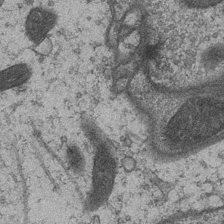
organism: Drosophila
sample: Optic medulla